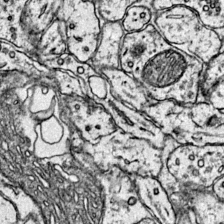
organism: Mouse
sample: Primary visual cortex